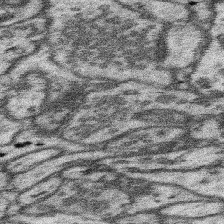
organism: Mouse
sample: Somatosensory cortex neuropil